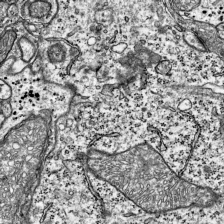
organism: Mouse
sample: Visual Cortex